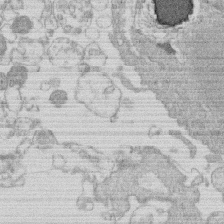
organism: Human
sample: Macrophage cells